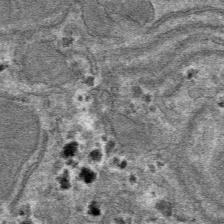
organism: Mouse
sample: Mouse hepatocytes